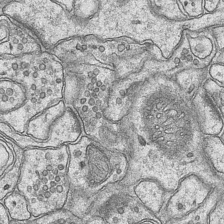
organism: Mouse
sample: CA1 Hippocampus